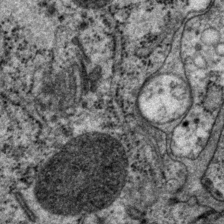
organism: P. pacificus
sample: Pharynx